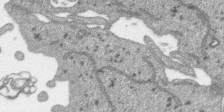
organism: Human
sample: Lung epithelial cells infected with SARS-CoV-2